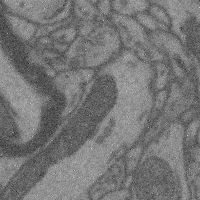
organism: Mouse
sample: Cerebral cortex